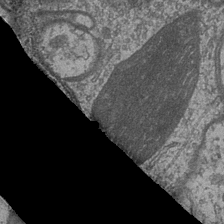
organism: Drosophila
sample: Optic medulla